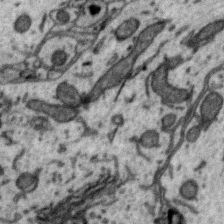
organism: Zebra finch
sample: Brain